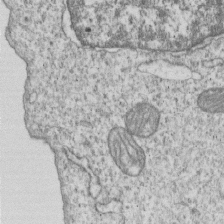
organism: Human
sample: MDA-MB-231 cells